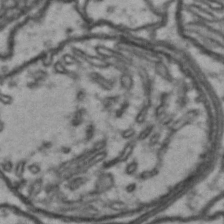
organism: Drosophila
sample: Brain